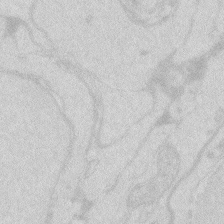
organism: Zebrafish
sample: Macrophage